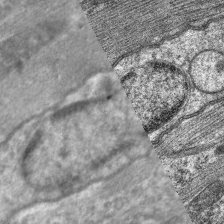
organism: C. elegans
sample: Pharynx